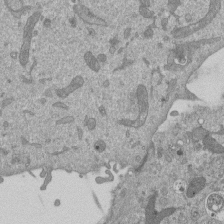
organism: Mouse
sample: ED-1 cell nuclei; centrioles